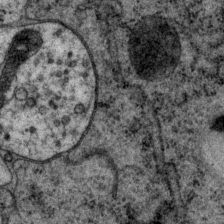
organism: P. pacificus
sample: Pharynx